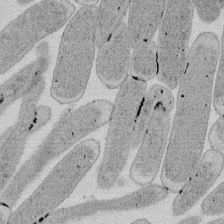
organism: E. coli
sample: Bacterial nucleoid